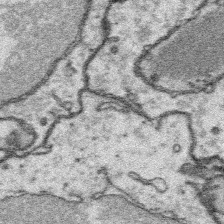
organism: Platynereis dumerilii